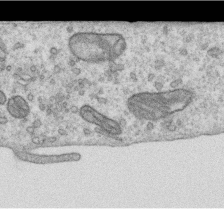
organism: Human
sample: Centriole in RPE cells